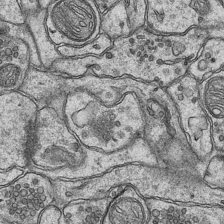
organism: Mouse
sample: CA1 Hippocampus